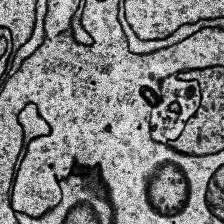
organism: Human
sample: Temporal Lobe